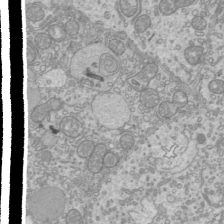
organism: Mouse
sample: Cilia; mouse epididymis